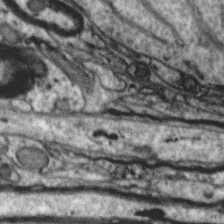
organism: Zebra finch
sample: Brain